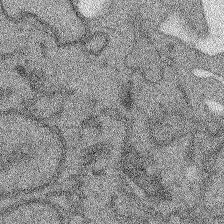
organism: Human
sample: HeLa cells